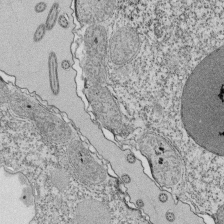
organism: Tetrahymena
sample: Cilia in tetrahymena